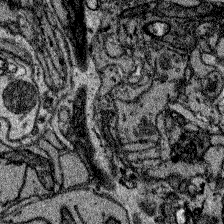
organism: Zebrafish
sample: Larval olfactory bulb